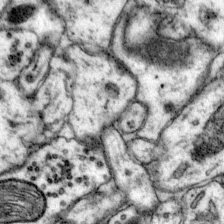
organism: Mouse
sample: Primary visual cortex